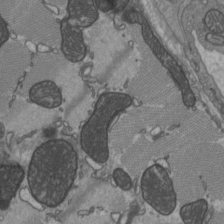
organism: C57BL Mouse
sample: Heart